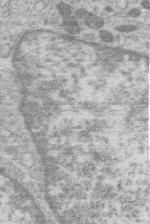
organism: Human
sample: Macrophage cells